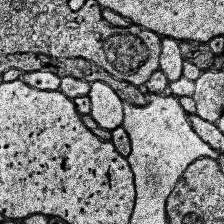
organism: Human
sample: Temporal Lobe